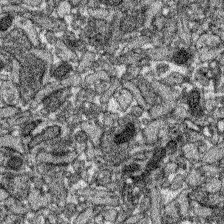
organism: Zebrafish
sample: Larval olfactory bulb